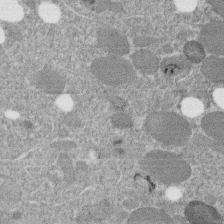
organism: C. elegans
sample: C. elegans embryo early stage